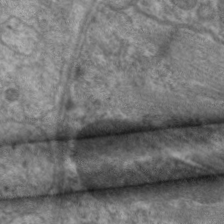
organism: C. elegans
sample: Pharynx